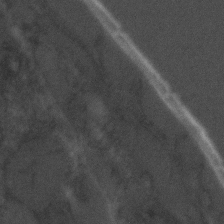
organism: C. elegans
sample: C. elegans embryo